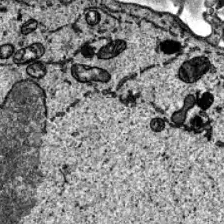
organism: Human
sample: HeLa cells